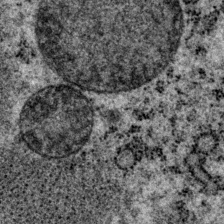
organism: P. pacificus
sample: Pharynx